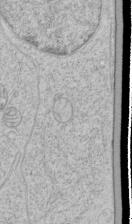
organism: Human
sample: Mitochondria in HCT116 cells